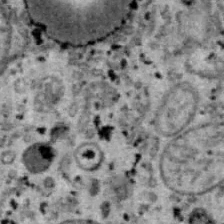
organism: Mouse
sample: Liver from an obese (ob/ob) mouse